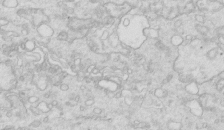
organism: Mouse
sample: Multiciliated cells